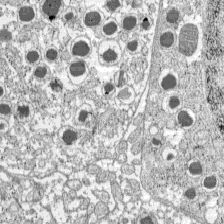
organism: C57BL Mouse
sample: Pancreatic islet